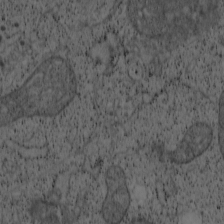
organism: African green monkey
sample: COS-7 cells